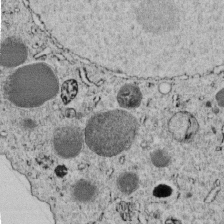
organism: C. elegans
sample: C. elegans embryo early stage